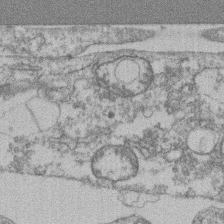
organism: Mouse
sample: T cell stromal cell synapse